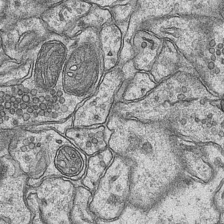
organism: Mouse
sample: CA1 Hippocampus